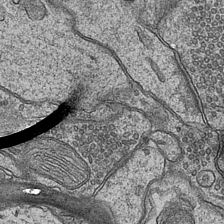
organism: Mouse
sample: CA1 Hippocampus